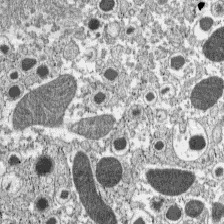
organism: C57BL Mouse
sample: Pancreatic islet